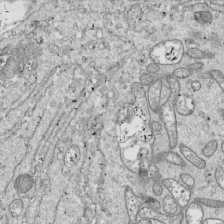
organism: Drosophila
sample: Cell division; meiosis; drosophila spermatocytes